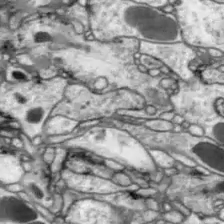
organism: Drosophila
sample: Optic lobe